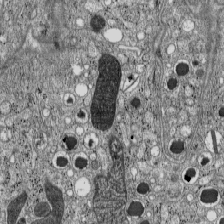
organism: C57BL Mouse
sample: Pancreatic islet